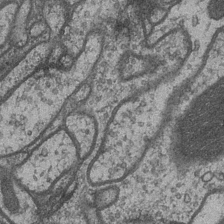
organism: Drosophila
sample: Optic medulla